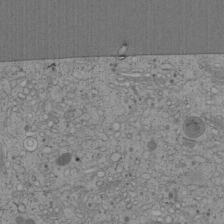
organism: African green monkey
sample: COS-7 cells